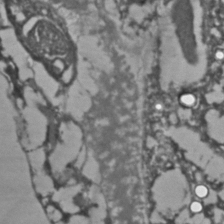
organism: C. elegans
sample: C. elegans embryo